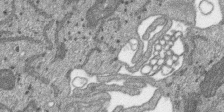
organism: Human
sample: Lung epithelial cells infected with SARS-CoV-2